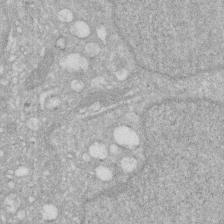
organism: Human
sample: HIV infected U937 cells